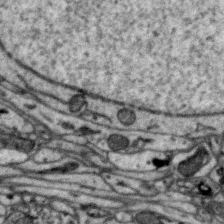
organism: Zebra finch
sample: Brain